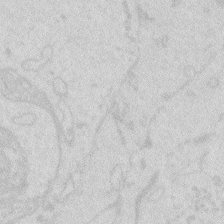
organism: Zebrafish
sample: Macrophage